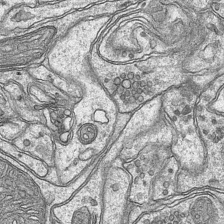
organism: Mouse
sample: CA1 Hippocampus